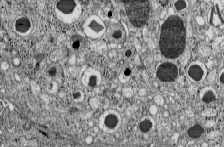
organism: C57BL Mouse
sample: Pancreatic islet